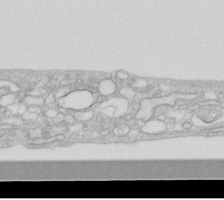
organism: Human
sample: Fibroblast cells